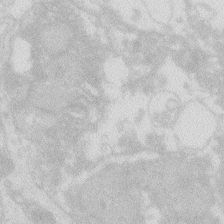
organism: Zebrafish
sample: Macrophage